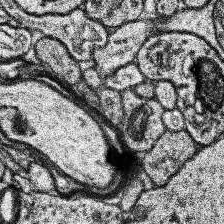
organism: Human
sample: Temporal Lobe